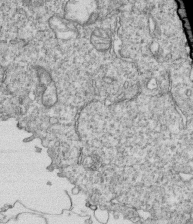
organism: Human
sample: HeLa cell HIV synapse